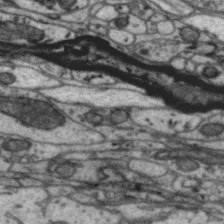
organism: Zebra finch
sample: Brain